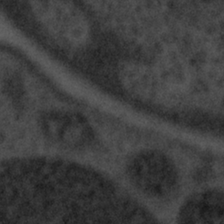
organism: Tuwongella immobilis